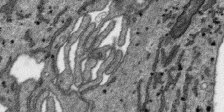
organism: Human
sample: Lung epithelial cells, uninfected (mock) control